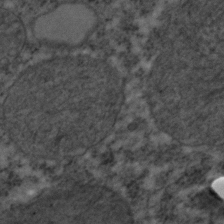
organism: C. elegans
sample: C. elegans embryo